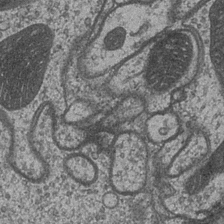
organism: Drosophila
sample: Optic medulla